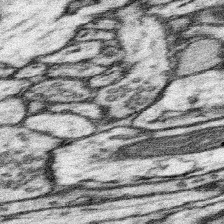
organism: Mouse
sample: Somatosensory cortex neuropil